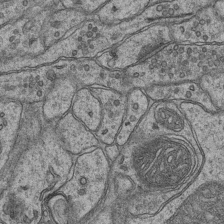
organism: Mouse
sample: CA1 Hippocampus